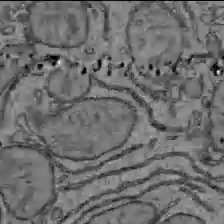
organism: C57BL Mouse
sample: Liver